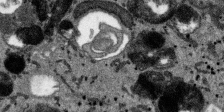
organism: Human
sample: Lung epithelial cells, uninfected (mock) control